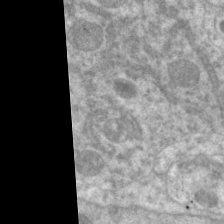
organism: C. elegans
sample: Pharynx